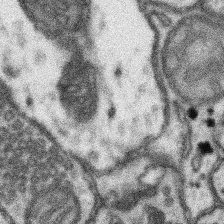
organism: Mouse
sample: Somatosensory cortex neuropil